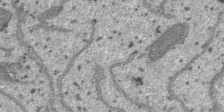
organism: Human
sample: Lung epithelial cells infected with SARS-CoV-2